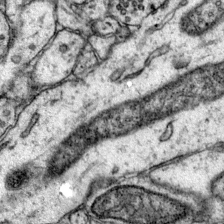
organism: Mouse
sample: Primary visual cortex